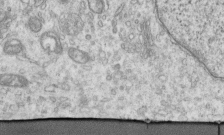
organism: Human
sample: Centriole in RPE cells